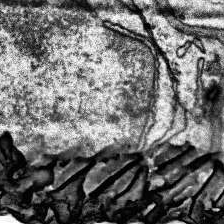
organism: Human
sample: Temporal Lobe